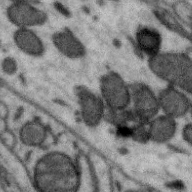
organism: Zebra finch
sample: Brain